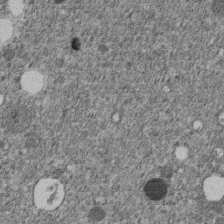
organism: C. elegans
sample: C. elegans embryo early stage